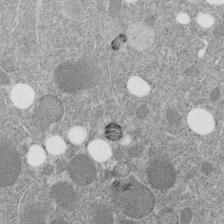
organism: C. elegans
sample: C. elegans embryo early stage